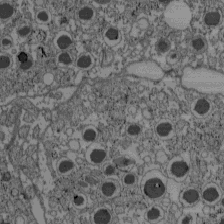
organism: C57BL Mouse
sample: Pancreatic islet